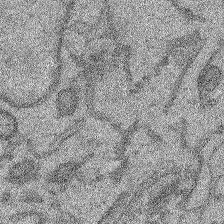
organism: Human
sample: HeLa cells